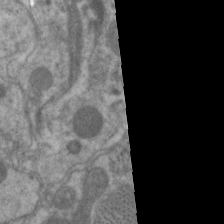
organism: C. elegans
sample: Pharynx